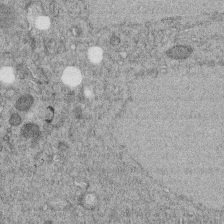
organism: C. elegans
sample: C. elegans embryo early stage